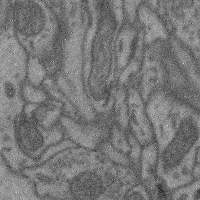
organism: Mouse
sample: Cerebral cortex